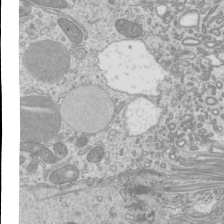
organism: Mouse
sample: Cilia; mouse epididymis